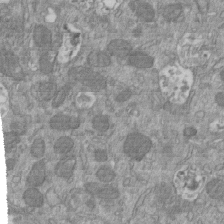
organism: Mouse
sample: ED-1 cell nuclei; centrioles